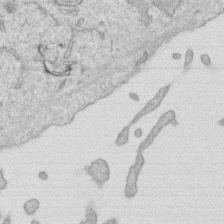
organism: Human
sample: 1205lu cells